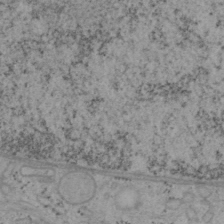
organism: Human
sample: HeLa cells